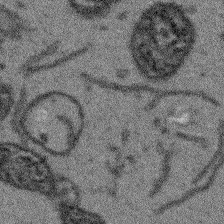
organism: Arabidopsis thaliana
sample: Root tip